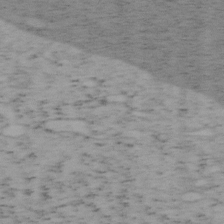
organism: Mouse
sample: OT-I killer T cells with ID8 ovarian cancer cells